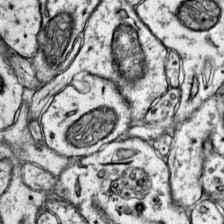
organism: Mouse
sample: Primary visual cortex